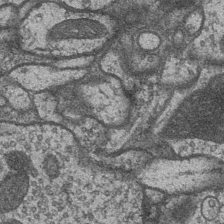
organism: Drosophila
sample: Optic medulla